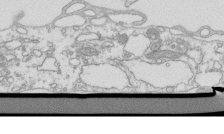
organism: Mouse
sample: Macrophages